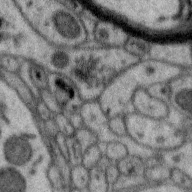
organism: Zebra finch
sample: Brain